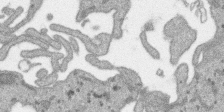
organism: Human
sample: Lung epithelial cells infected with SARS-CoV-2